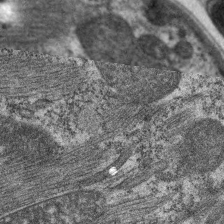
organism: C. elegans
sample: Pharynx